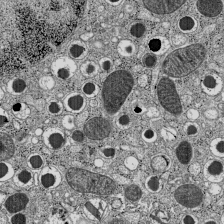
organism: C57BL Mouse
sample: Pancreatic islet